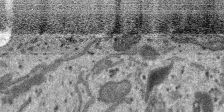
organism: Human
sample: Lung epithelial cells infected with SARS-CoV-2